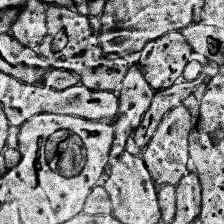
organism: Human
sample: Temporal Lobe